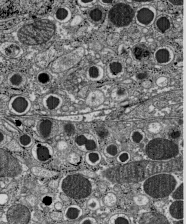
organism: C57BL Mouse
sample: Pancreatic islet